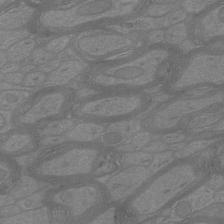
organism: Mouse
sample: Cortical neurons